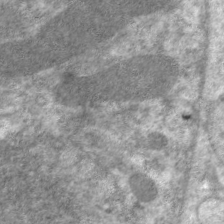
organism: C. elegans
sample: Pharynx